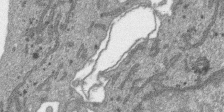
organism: Human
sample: Lung epithelial cells infected with SARS-CoV-2